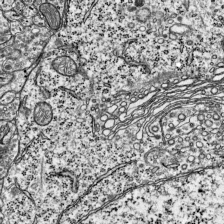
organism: Mouse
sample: Visual Cortex